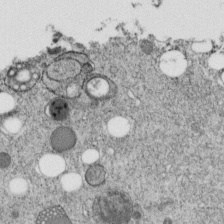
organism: C. elegans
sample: C. elegans embryo early stage